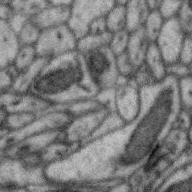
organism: Zebra finch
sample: Brain